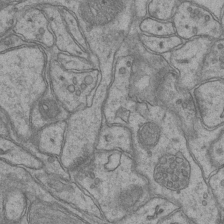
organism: Mouse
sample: CA1 Hippocampus